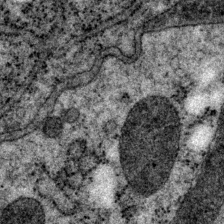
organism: P. pacificus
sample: Pharynx